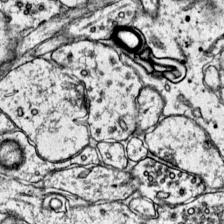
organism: Mouse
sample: Primary visual cortex